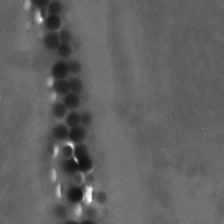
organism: Zebrafish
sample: Zebrafish embryo